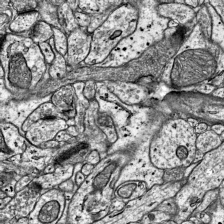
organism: Mouse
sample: Visual Cortex